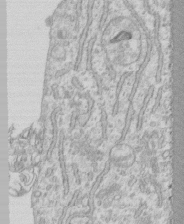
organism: Human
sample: CRL-1474